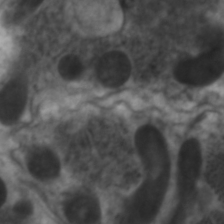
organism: C. elegans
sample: Pharynx